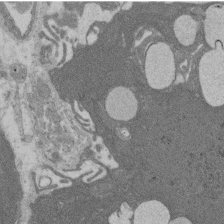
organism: Rat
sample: Salivary granule